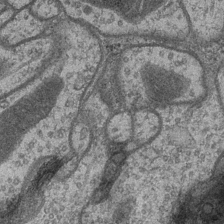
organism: Drosophila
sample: Optic medulla